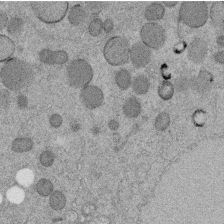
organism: C. elegans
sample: C. elegans embryo early stage